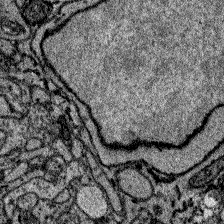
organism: Zebrafish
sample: Larval olfactory bulb